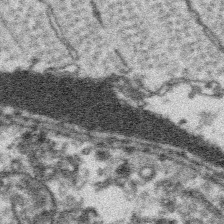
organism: Platynereis dumerilii